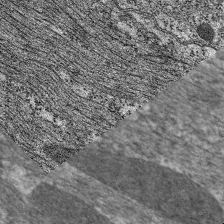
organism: C. elegans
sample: Pharynx